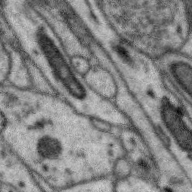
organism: Zebra finch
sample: Brain